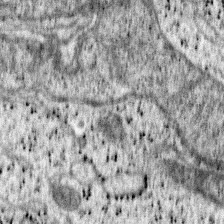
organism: Human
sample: HeLa cells